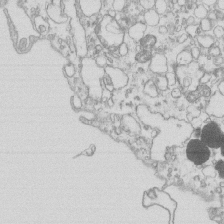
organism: Mouse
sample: Macrophages